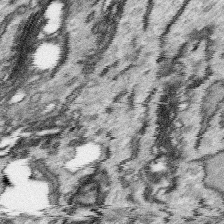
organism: Human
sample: HeLa cells